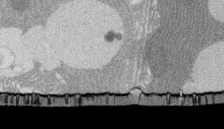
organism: Rat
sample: Salivary granule